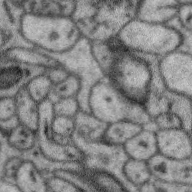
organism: Zebra finch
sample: Brain